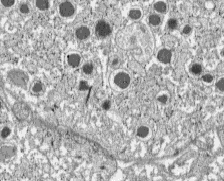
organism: C57BL Mouse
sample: Pancreatic islet